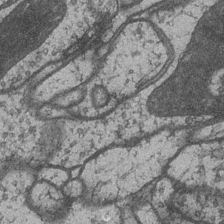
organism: Drosophila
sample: Optic medulla